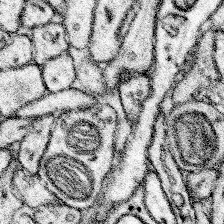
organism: Mouse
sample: Somatosensory cortex neuropil